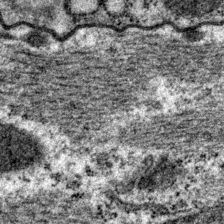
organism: P. pacificus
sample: Pharynx